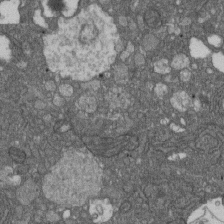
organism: Drosophila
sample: Nephrocyte